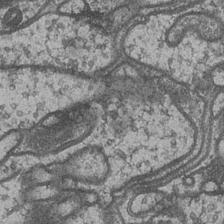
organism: Drosophila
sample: Optic medulla